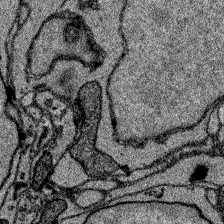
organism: Zebrafish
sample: Larval olfactory bulb